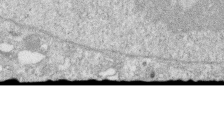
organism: Human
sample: HeLa cell HIV synapse